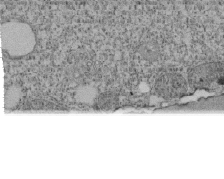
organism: Tetrahymena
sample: Cilia in tetrahymena